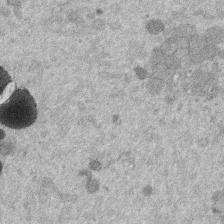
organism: Mouse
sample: Dividing mouse embryo 1 cell stage